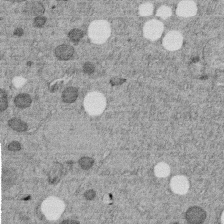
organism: C. elegans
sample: C. elegans embryo early stage